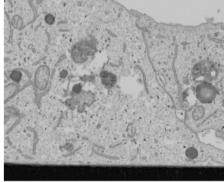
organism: Human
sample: Mitochondria in U2OS cells